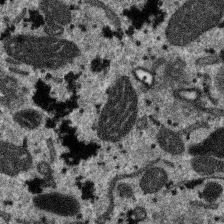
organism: Human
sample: Lung epithelial cells infected with SARS-CoV-2